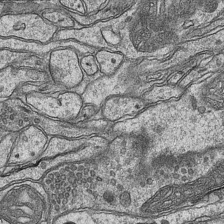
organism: Mouse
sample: CA1 Hippocampus